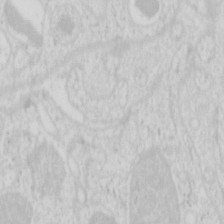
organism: Mouse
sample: Pancreas